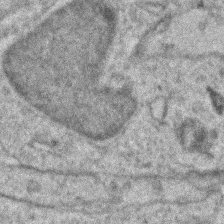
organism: Zebrafish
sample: Zebrafish embryo